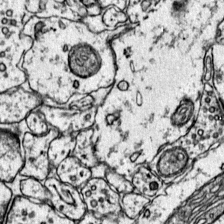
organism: Mouse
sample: Primary visual cortex